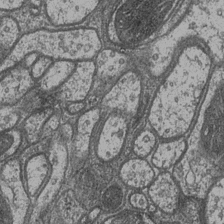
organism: Drosophila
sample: Optic medulla